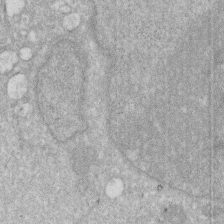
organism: Human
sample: HIV infected U937 cells